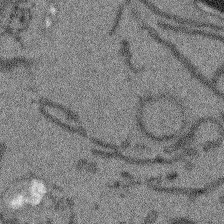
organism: Arabidopsis thaliana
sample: Root tip